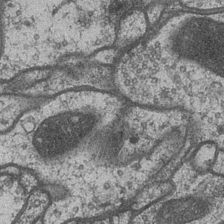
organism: Drosophila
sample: Optic medulla